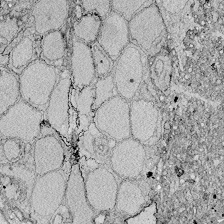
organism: Zebrafish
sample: Whole-Brain